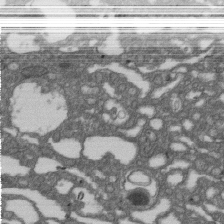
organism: Drosophila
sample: Nephrocyte